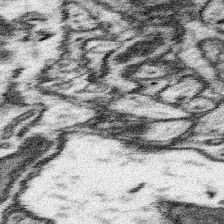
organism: Mouse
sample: Somatosensory cortex neuropil